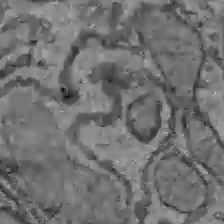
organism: C57BL Mouse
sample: Liver